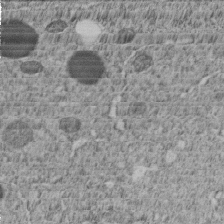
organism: C. elegans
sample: C. elegans embryo early stage